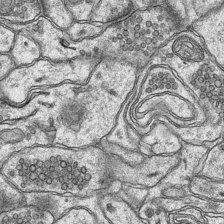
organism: Mouse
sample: CA1 Hippocampus